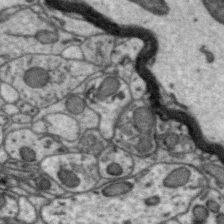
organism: Zebra finch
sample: Brain